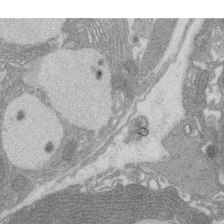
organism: Rat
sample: Salivary granule